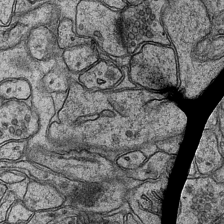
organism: Mouse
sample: CA1 Hippocampus